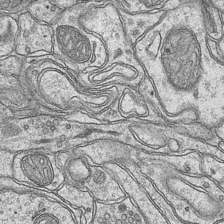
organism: Mouse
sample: CA1 Hippocampus